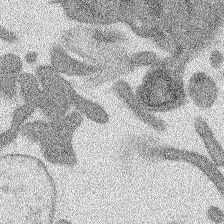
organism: Human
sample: HeLa cells